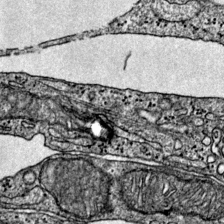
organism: Mouse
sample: Primary visual cortex